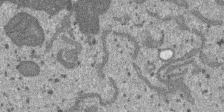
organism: Human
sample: Lung epithelial cells infected with SARS-CoV-2